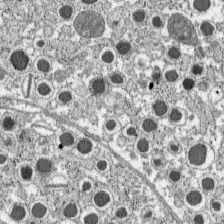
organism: C57BL Mouse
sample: Pancreatic islet